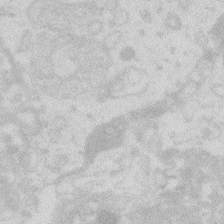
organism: Zebrafish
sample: Macrophage